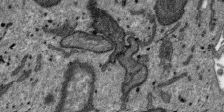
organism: Human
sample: Lung epithelial cells, uninfected (mock) control